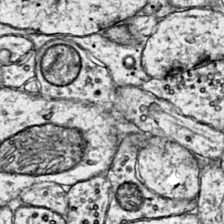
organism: Mouse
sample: Primary visual cortex